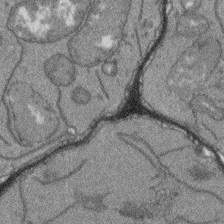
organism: Arabidopsis thaliana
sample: Root tip